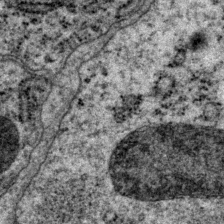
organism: P. pacificus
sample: Pharynx